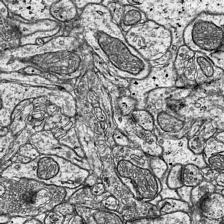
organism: Mouse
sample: Visual Cortex